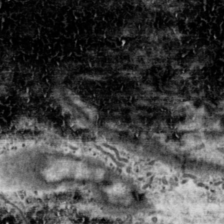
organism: Toxoplasma gondii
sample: Parasites in a vacuole inside a host cell